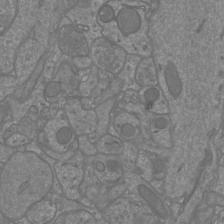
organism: Mouse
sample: Cortical neurons